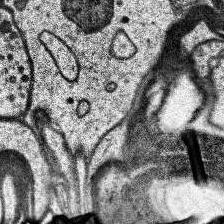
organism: Human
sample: Temporal Lobe